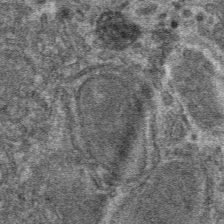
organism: Mouse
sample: Mouse hepatocytes